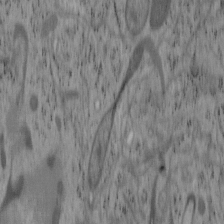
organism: Human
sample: HeLa cells